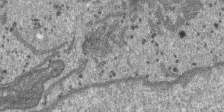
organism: Human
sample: Lung epithelial cells infected with SARS-CoV-2